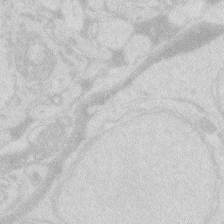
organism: Zebrafish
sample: Macrophage